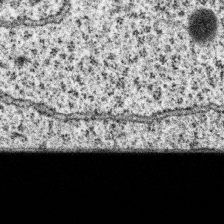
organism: Human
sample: HeLa cells